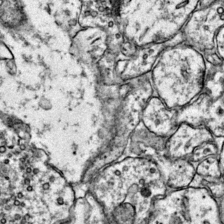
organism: Mouse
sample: Primary visual cortex